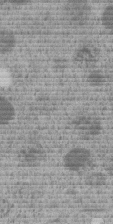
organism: C. elegans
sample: C. elegans embryo early stage